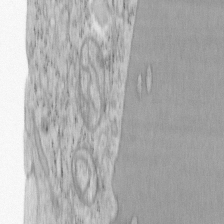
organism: Human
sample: HeLa cells